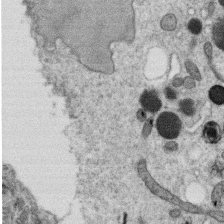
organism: C. elegans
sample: C. elegans oocyte; sperm cells